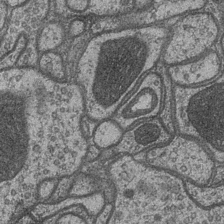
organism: Drosophila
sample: Optic medulla